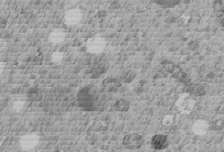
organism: C. elegans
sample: C. elegans embryo early stage